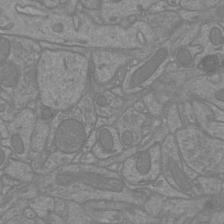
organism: Mouse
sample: Cortical neurons